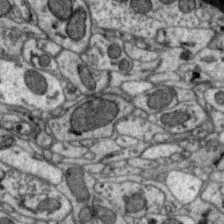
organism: Zebra finch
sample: Brain